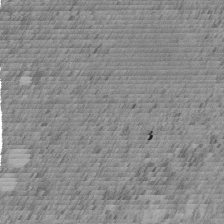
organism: C. elegans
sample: C. elegans embryo early stage